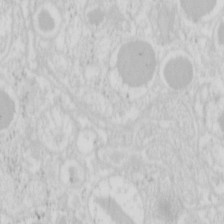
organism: Mouse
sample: Pancreas